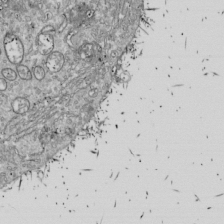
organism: Drosophila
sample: Cell division; meiosis; drosophila spermatocytes